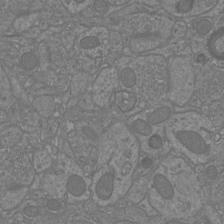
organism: Mouse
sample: Cortical neurons